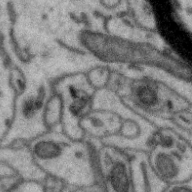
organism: Zebra finch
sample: Brain